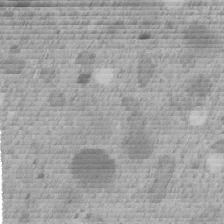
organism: C. elegans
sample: C. elegans embryo early stage